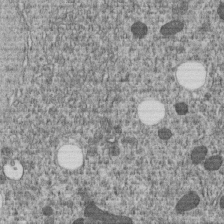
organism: C. elegans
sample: C. elegans embryo early stage